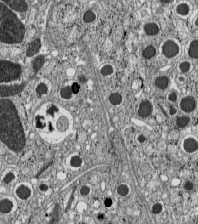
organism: C57BL Mouse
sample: Pancreatic islet